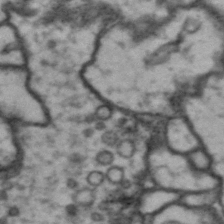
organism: Drosophila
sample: Brain